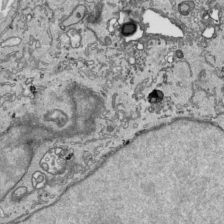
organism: Human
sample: Mitochondria in HCT116 cells